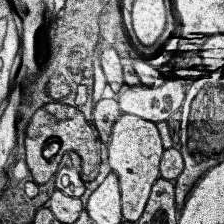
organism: Human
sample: Temporal Lobe